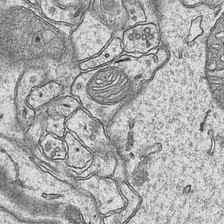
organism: Mouse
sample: CA1 Hippocampus